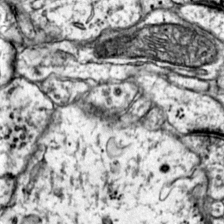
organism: Mouse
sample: Primary visual cortex